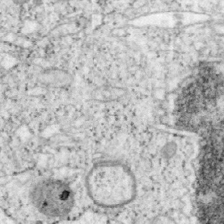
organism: Mouse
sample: OT-I killer T cells with ID8 ovarian cancer cells